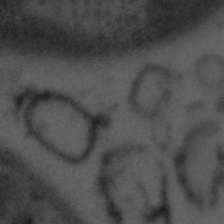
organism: Tuwongella immobilis